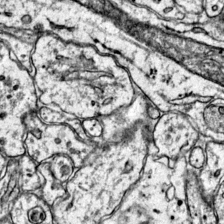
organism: Mouse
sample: Primary visual cortex